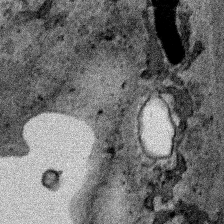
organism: Human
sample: Mitochondria in HCT116 cells